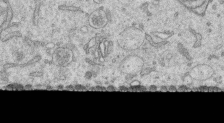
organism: Human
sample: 1205lu cells